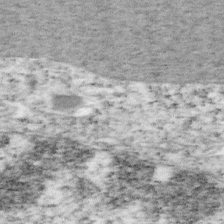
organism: Mouse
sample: OT-I killer T cells with ID8 ovarian cancer cells